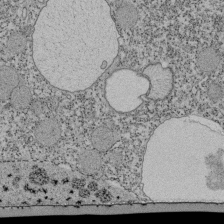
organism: Tetrahymena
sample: Cilia in tetrahymena